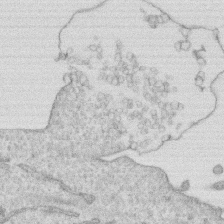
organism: Human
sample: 1205lu cells